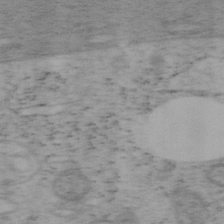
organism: Mouse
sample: OT-I killer T cells with ID8 ovarian cancer cells